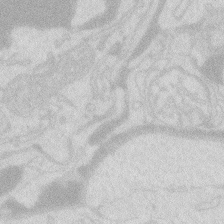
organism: Zebrafish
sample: Macrophage